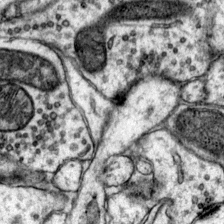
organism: Mouse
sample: Primary visual cortex